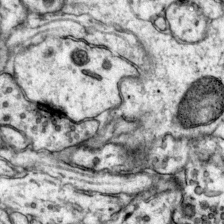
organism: Mouse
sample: Primary visual cortex